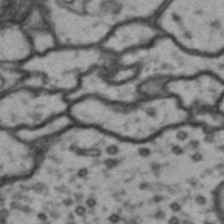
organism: Drosophila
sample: Brain